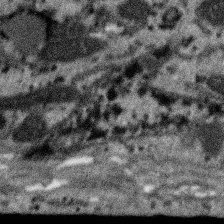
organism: Human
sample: Lung epithelial cells infected with SARS-CoV-2